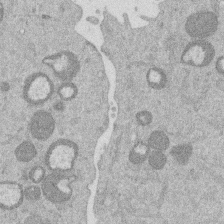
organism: Mouse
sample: Dividing mouse embryo 1 cell stage